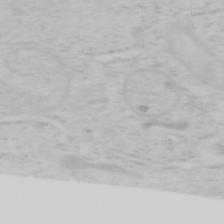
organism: Mouse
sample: OT-I killer T cells with ID8 ovarian cancer cells